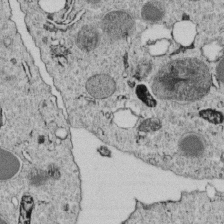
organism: C. elegans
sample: C. elegans embryo early stage